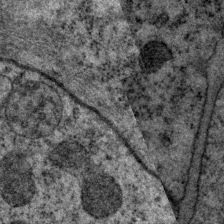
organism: P. pacificus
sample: Pharynx